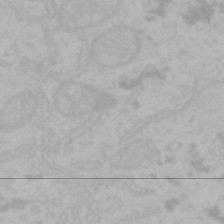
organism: Mouse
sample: Choroid plexus